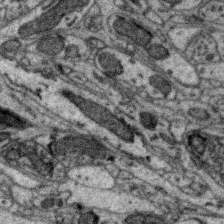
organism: Zebra finch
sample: Brain